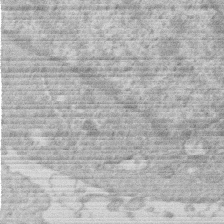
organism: Human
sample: Macrophage cells